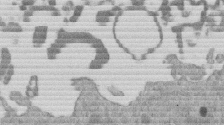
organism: Mouse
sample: Dividing mouse embryo 1 cell stage